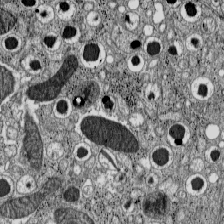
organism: C57BL Mouse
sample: Pancreatic islet